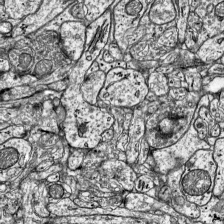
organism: Mouse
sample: Visual Cortex